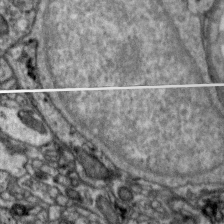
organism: Zebra finch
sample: Brain